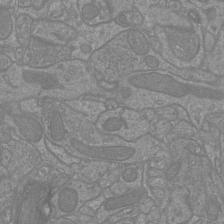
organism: Mouse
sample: Cortical neurons